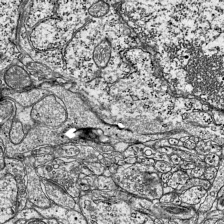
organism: Mouse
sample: Visual Cortex